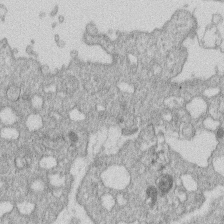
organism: Human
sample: Macrophage cells